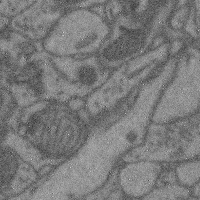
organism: Mouse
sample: Cerebral cortex